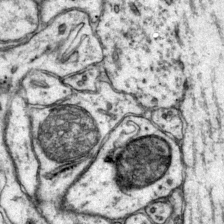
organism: Mouse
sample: Primary visual cortex